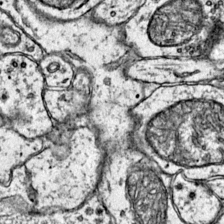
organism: Mouse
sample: Primary visual cortex